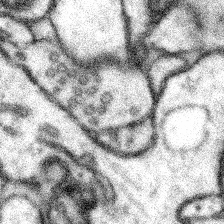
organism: Mouse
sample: Somatosensory cortex neuropil